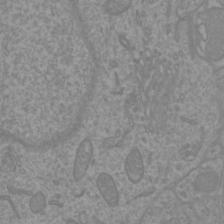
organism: Mouse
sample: Cortical neurons